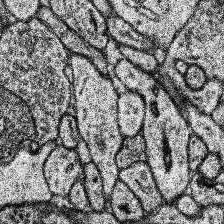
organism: Human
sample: Temporal Lobe